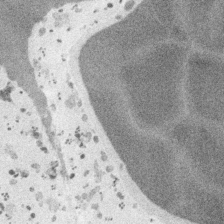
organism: Embia sp.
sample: Silk gland